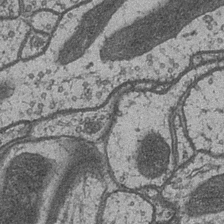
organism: Drosophila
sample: Optic medulla